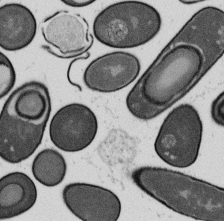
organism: B. subtilis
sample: Bacterial spore